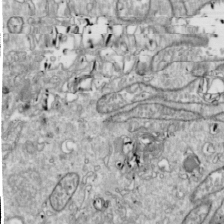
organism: Drosophila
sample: Cell division; meiosis; drosophila spermatocytes